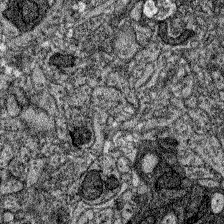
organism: Zebrafish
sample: Larval olfactory bulb